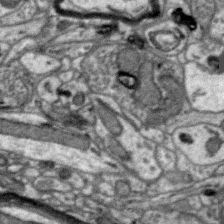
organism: Zebra finch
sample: Brain